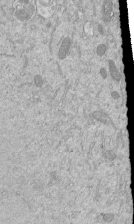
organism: Mouse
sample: ED-1 cell nuclei; centrioles